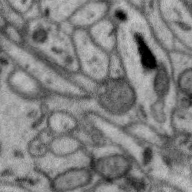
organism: Zebra finch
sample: Brain